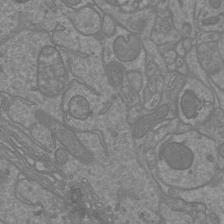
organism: Mouse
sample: Cortical neurons